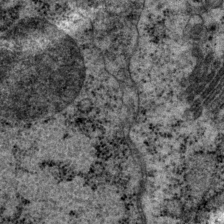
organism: P. pacificus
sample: Pharynx